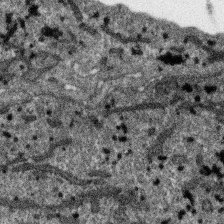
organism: Human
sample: Lung epithelial cells infected with SARS-CoV-2